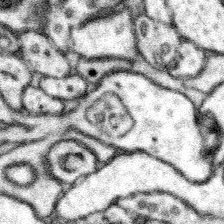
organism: Mouse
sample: Somatosensory cortex neuropil